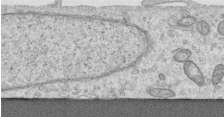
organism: Human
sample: Centriole in RPE cells